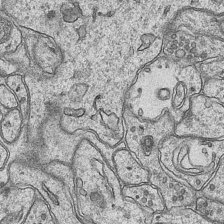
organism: Mouse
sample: CA1 Hippocampus